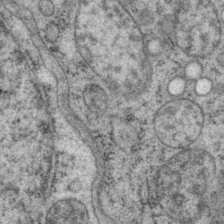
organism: P. pacificus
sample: Pharynx